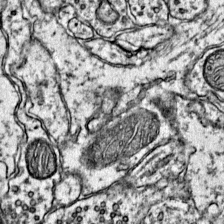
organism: Mouse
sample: Primary visual cortex